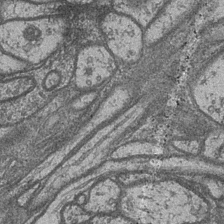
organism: Drosophila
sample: Optic medulla